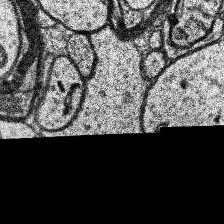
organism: Human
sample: Temporal Lobe